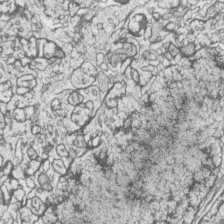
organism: Zebrafish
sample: synaptic ribbons in rod cells and cone cells